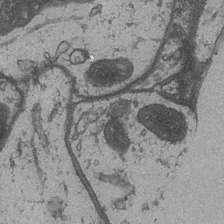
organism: Drosophila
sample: Optic medulla